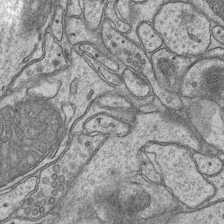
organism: Mouse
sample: CA1 Hippocampus